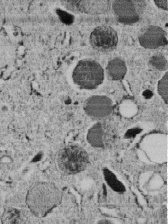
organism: C. elegans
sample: C. elegans embryo early stage